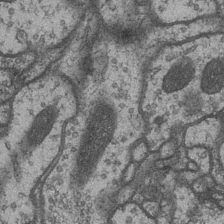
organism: Drosophila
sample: Optic medulla